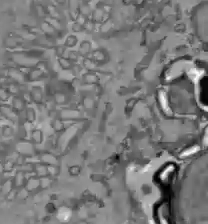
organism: C57BL Mouse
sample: Liver